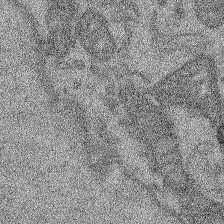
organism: Human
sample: HeLa cells